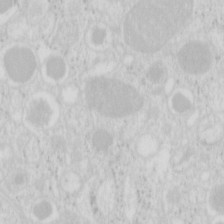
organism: Mouse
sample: Pancreas